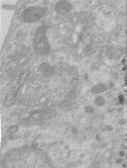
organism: Human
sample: Centriole in RPE cells